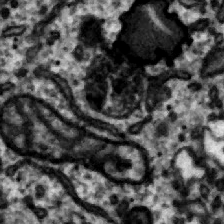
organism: Human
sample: HeLa cells